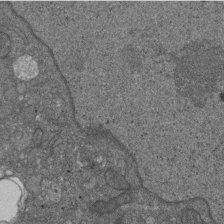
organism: Drosophila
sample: Nephrocyte